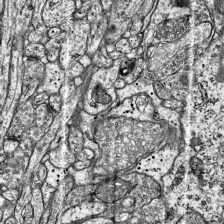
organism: Mouse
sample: Visual Cortex